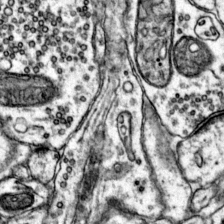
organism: Mouse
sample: Primary visual cortex